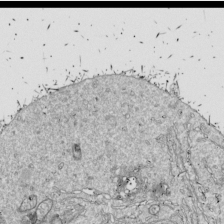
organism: Drosophila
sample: Cell division; meiosis; drosophila spermatocytes